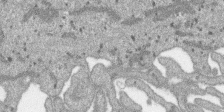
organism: Human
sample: Lung epithelial cells infected with SARS-CoV-2